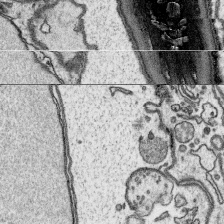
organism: Platynereis dumerilii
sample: Parapodia